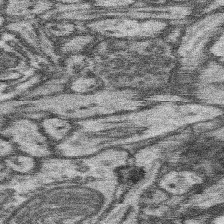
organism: Mouse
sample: Somatosensory cortex neuropil